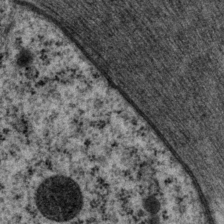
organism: P. pacificus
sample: Pharynx